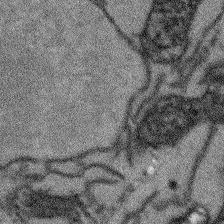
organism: Arabidopsis thaliana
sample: Root tip